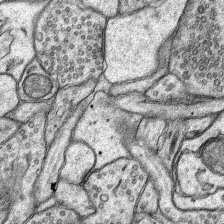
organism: Rat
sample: Hippocampus